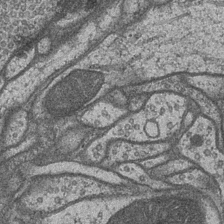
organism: Drosophila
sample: Optic medulla